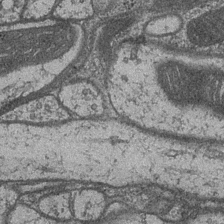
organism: Drosophila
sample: Optic medulla